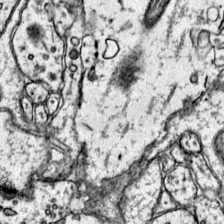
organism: Mouse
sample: Primary visual cortex